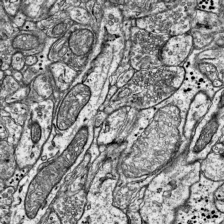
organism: Mouse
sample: Visual Cortex